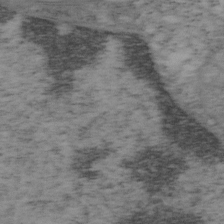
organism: Mouse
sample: OT-I killer T cells with ID8 ovarian cancer cells